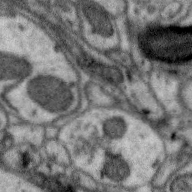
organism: Zebra finch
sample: Brain